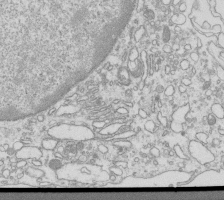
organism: Mouse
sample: Macrophages